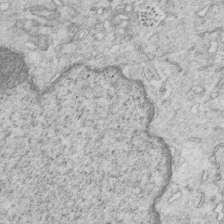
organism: Mouse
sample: Multiciliated cells